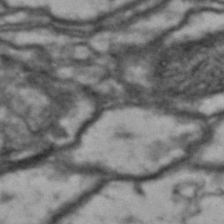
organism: Drosophila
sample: Brain